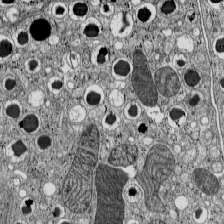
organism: C57BL Mouse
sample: Pancreatic islet